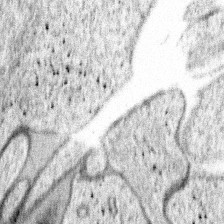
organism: Human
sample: HeLa cells